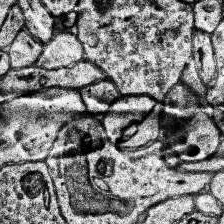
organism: Human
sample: Temporal Lobe